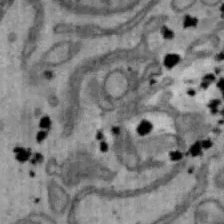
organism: Mouse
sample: Liver